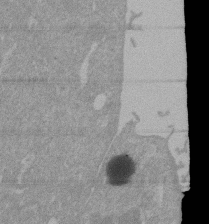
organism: Mouse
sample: ED-1 cell nuclei; centrioles